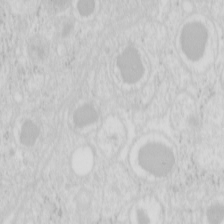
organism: Mouse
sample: Pancreas